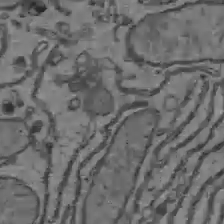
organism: C57BL Mouse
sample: Liver